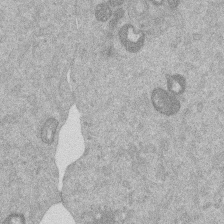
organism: Mouse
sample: Dividing mouse embryo 1 cell stage